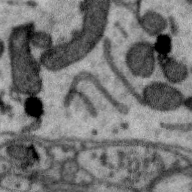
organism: Zebra finch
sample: Brain